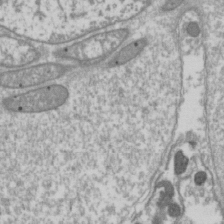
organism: Drosophila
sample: Cell division; meiosis; drosophila spermatocytes